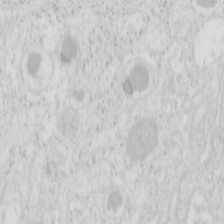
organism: Mouse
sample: Pancreas